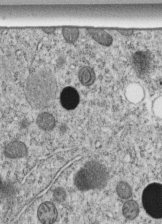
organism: C. elegans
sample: C. elegans embryo early stage